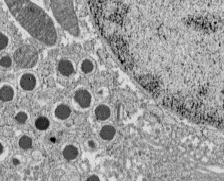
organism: C57BL Mouse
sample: Pancreatic islet